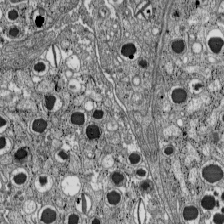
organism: C57BL Mouse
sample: Pancreatic islet